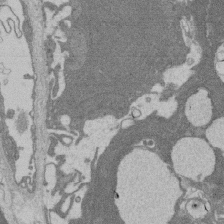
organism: Rat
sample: Salivary granule